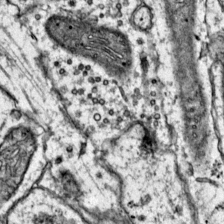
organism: Mouse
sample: Primary visual cortex